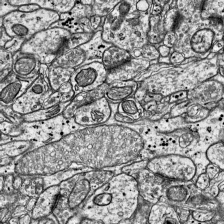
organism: Mouse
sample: Visual Cortex